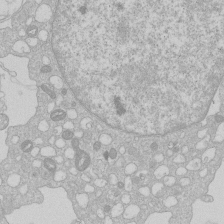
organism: Human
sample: Macrophage cells